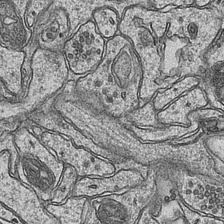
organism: Mouse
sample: CA1 Hippocampus